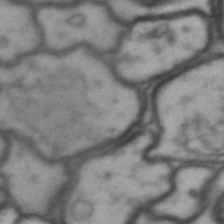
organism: Drosophila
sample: Brain